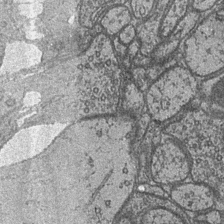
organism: Drosophila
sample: Optic medulla